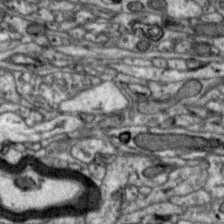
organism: Zebra finch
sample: Brain